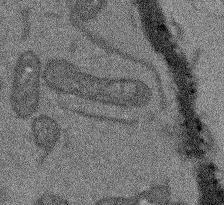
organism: Arabidopsis thaliana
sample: Root tip